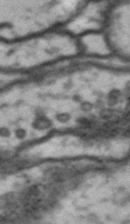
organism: Drosophila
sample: Brain